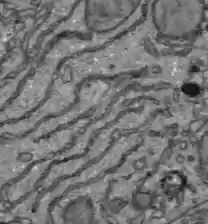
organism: C57BL Mouse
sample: Liver